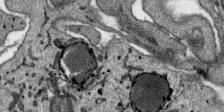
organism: Human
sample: Lung epithelial cells, uninfected (mock) control